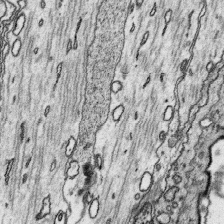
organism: Platynereis dumerilii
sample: Parapodia